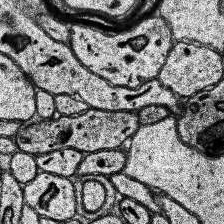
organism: Human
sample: Temporal Lobe